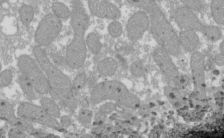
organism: Xenopus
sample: Cilia; centrioles in frog embryo cells